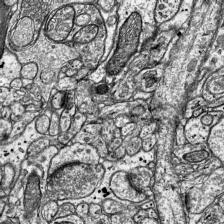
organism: Mouse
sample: Visual Cortex